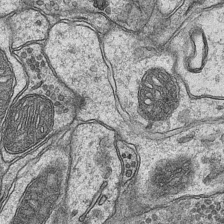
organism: Mouse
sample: CA1 Hippocampus